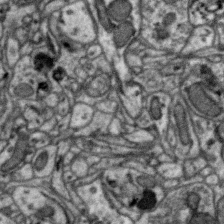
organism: Zebra finch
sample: Brain